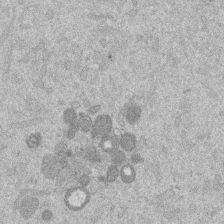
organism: Mouse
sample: Dividing mouse embryo 1 cell stage